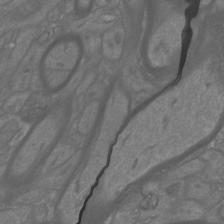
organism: Mouse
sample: Cortical neurons